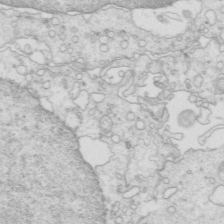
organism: Mouse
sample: Multiciliated cells